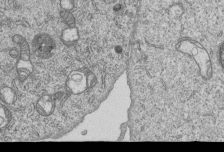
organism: Human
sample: MDA-MB-231 cells